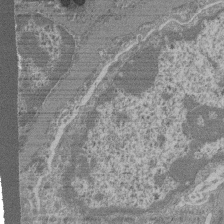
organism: Mouse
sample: Glomerulus